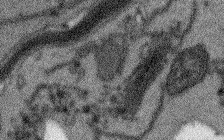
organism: Arabidopsis thaliana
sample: Root tip